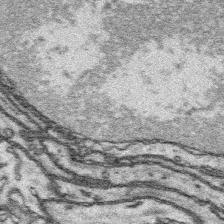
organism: Platynereis dumerilii